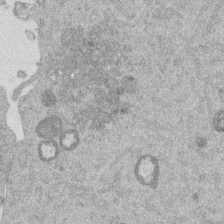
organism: Mouse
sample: Dividing mouse embryo 1 cell stage